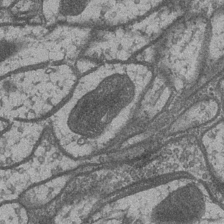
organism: Drosophila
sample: Optic medulla